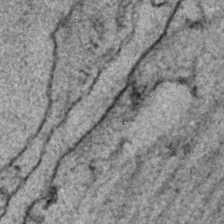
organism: C. elegans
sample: C. elegans embryo